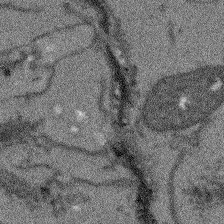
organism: Arabidopsis thaliana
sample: Root tip